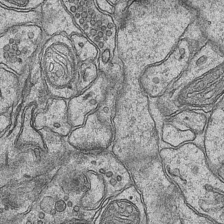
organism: Mouse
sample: CA1 Hippocampus